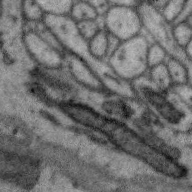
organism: Zebra finch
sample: Brain